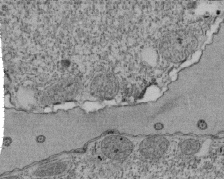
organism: Tetrahymena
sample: Cilia in tetrahymena